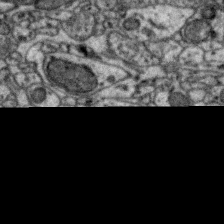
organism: Zebra finch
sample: Brain